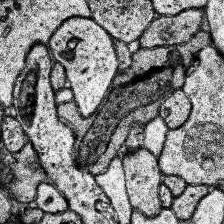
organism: Human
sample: Temporal Lobe